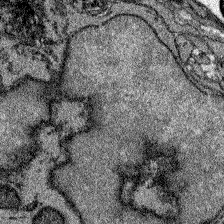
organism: Zebrafish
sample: Larval olfactory bulb